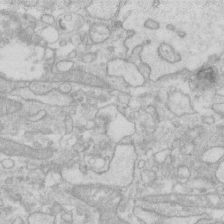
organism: Human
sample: Fibroblast cells